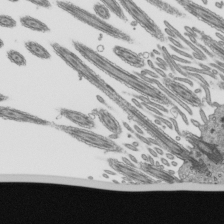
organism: Mouse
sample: Mouse epididymis efferent ductule cilia